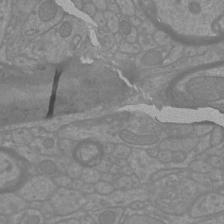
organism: Mouse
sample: Cortical neurons